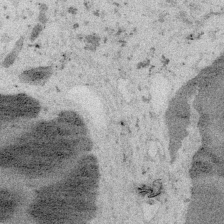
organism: Embia sp.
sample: Silk gland